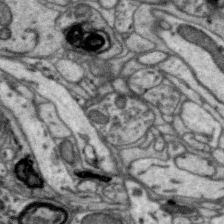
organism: Zebra finch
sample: Brain